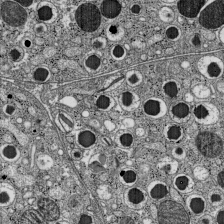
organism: C57BL Mouse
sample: Pancreatic islet